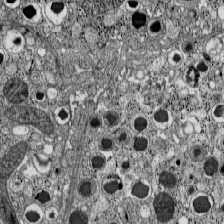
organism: C57BL Mouse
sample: Pancreatic islet